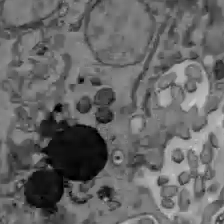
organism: C57BL Mouse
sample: Liver